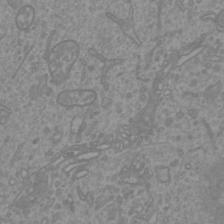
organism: Mouse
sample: Cortical neurons